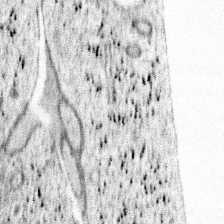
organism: Human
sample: HeLa cells